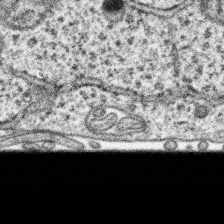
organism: Human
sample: HeLa cells